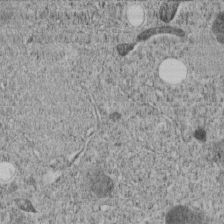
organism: C. elegans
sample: C. elegans embryo early stage